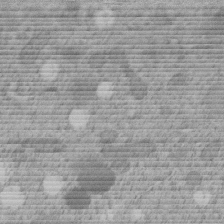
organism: C. elegans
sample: C. elegans embryo early stage